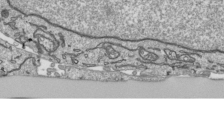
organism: Human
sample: Mitochondria in HCT116 cells